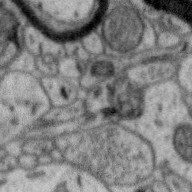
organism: Zebra finch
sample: Brain